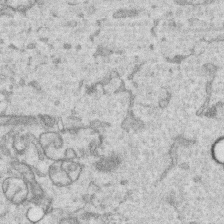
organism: Human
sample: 1205lu cells